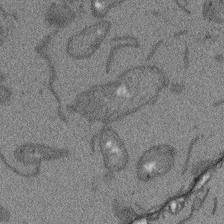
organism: Arabidopsis thaliana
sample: Root tip